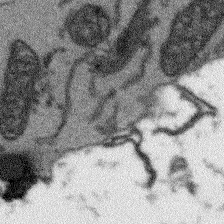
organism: Arabidopsis thaliana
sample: Root tip